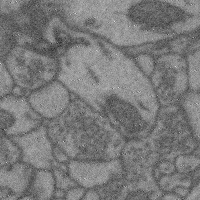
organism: Mouse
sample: Cerebral cortex